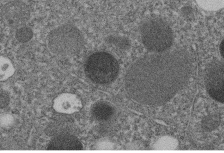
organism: C. elegans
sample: C. elegans embryo early stage